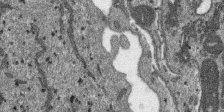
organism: Human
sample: Lung epithelial cells infected with SARS-CoV-2